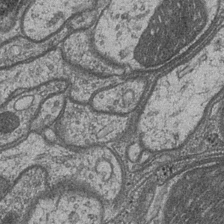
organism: Drosophila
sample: Optic medulla